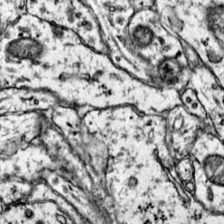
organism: Mouse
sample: Primary visual cortex